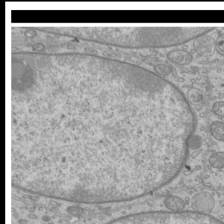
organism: Mouse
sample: Cilia; mouse epididymis